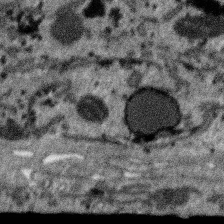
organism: Human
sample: Lung epithelial cells infected with SARS-CoV-2